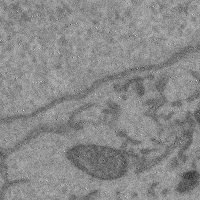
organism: Mouse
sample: Cerebral cortex